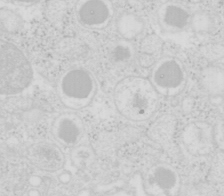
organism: Mouse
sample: Pancreas